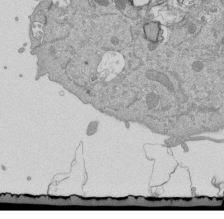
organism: Mouse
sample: ED-1 cell nuclei; centrioles